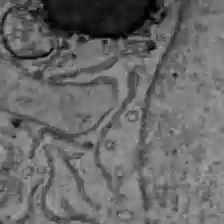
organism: C57BL Mouse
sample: Liver